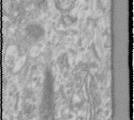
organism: Human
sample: Cilia; basal body in RPE cells